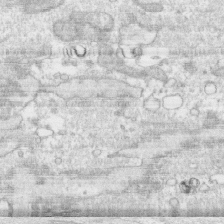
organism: Human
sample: CRL-1474